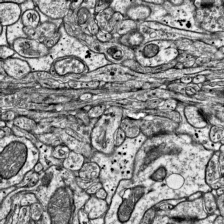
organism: Mouse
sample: Visual Cortex